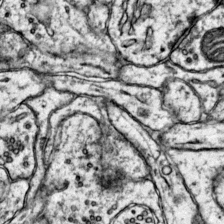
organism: Mouse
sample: Primary visual cortex